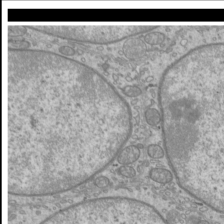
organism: Mouse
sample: Cilia; mouse epididymis